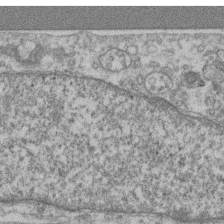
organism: Mouse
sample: T cell stromal cell synapse